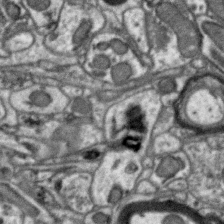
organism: Zebra finch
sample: Brain